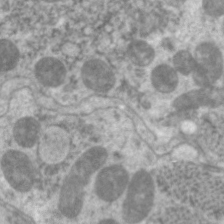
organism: C. elegans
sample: Pharynx